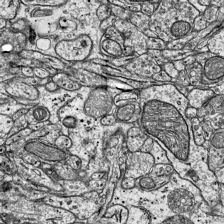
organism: Mouse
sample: Visual Cortex